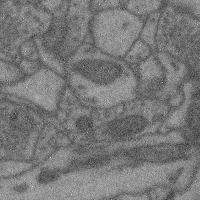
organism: Mouse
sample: Cerebral cortex